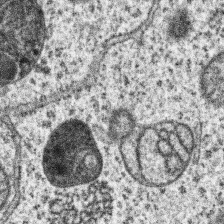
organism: Human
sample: HeLa cells